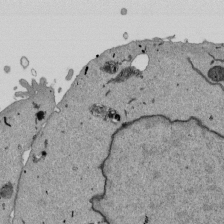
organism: Mouse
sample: ED-1 cell nuclei; centrioles